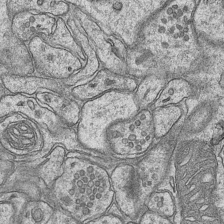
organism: Mouse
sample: CA1 Hippocampus